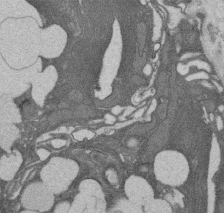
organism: Rat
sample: Salivary granule